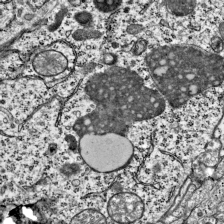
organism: Mouse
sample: Visual Cortex